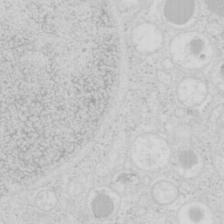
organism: Mouse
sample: Pancreas